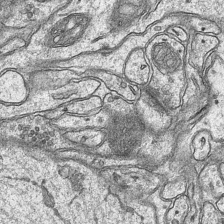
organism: Mouse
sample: CA1 Hippocampus